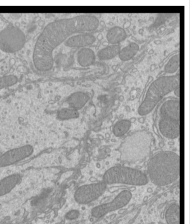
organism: Mouse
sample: Cilia; mouse epididymis